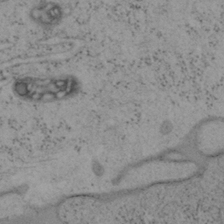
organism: Mouse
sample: OT-I killer T cells with ID8 ovarian cancer cells